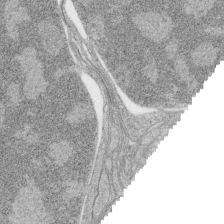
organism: Zebrafish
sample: synaptic ribbons in rod cells and cone cells